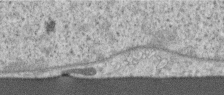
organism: Human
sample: Centriole in RPE cells